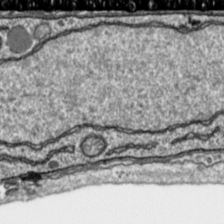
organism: Toxoplasma gondii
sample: Parasites in a vacuole inside a host cell